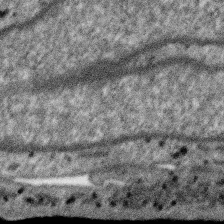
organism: Human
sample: Lung epithelial cells infected with SARS-CoV-2